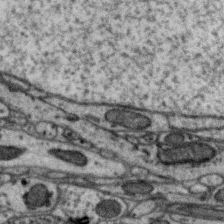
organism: Zebra finch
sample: Brain